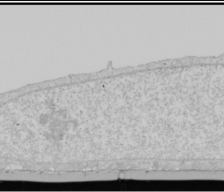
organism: Human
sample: Mitochondria in U2OS cells